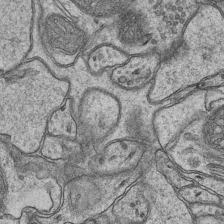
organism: Mouse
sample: CA1 Hippocampus